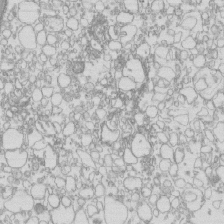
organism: Mouse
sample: Macrophages